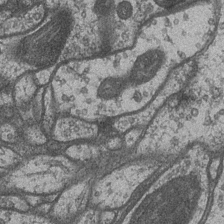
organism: Drosophila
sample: Optic medulla